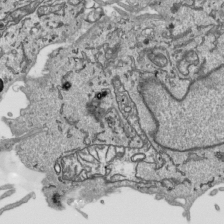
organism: Human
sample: Mitochondria in HCT116 cells